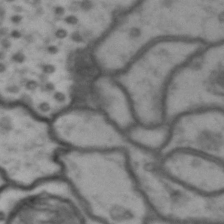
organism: Drosophila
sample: Brain